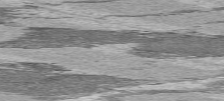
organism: C57BL Mouse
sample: Heart